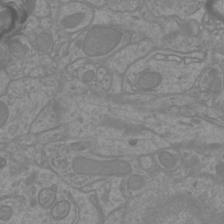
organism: Mouse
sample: Cortical neurons